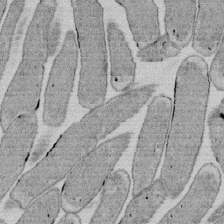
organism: E. coli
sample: Bacterial nucleoid